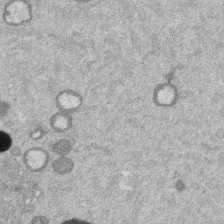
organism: Mouse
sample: Dividing mouse embryo 1 cell stage